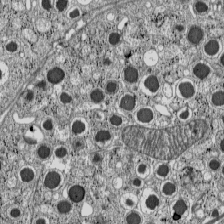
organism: C57BL Mouse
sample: Pancreatic islet